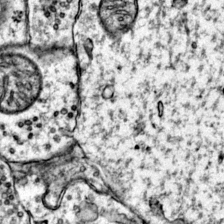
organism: Mouse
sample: Primary visual cortex